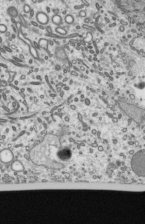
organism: Mouse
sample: Mouse epididymis efferent ductule cilia